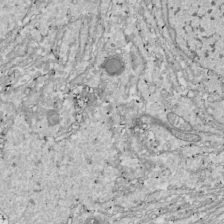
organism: Drosophila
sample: Cell division; meiosis; drosophila spermatocytes